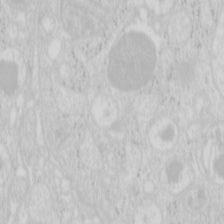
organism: Mouse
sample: Pancreas